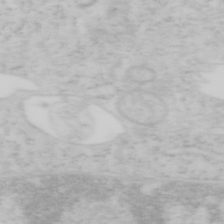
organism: Mouse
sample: OT-I killer T cells with ID8 ovarian cancer cells